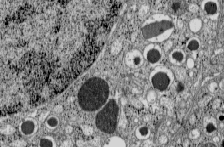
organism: C57BL Mouse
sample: Pancreatic islet